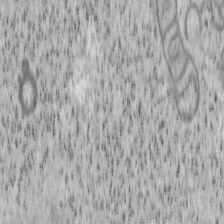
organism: Human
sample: HeLa cells